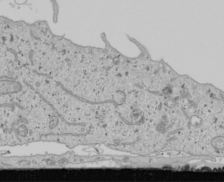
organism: Human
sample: Mitochondria in U2OS cells